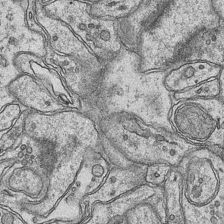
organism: Mouse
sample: CA1 Hippocampus